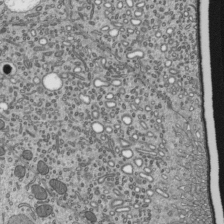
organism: Mouse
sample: Mouse epididymis efferent ductule cilia